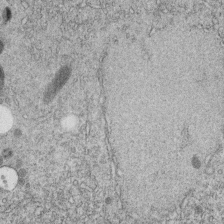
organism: C. elegans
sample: C. elegans embryo early stage